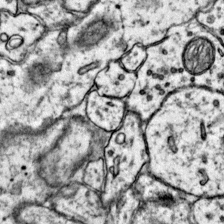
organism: Mouse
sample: Primary visual cortex